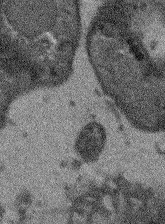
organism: Arabidopsis thaliana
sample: Root tip